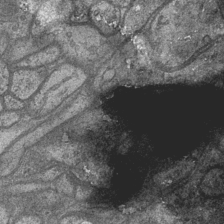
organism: Drosophila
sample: Optic medulla